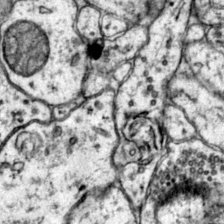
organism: Mouse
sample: Primary visual cortex